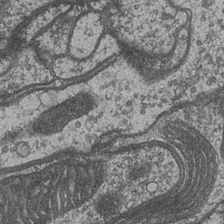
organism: Drosophila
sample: Optic medulla